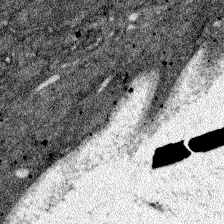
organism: Zebrafish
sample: Larval olfactory bulb